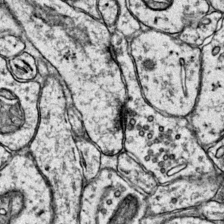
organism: Mouse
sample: Primary visual cortex